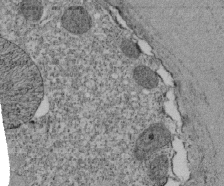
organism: Tetrahymena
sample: Cilia in tetrahymena